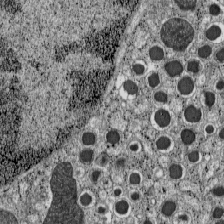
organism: C57BL Mouse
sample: Pancreatic islet